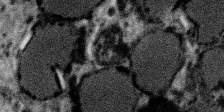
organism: Human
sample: Lung epithelial cells infected with SARS-CoV-2